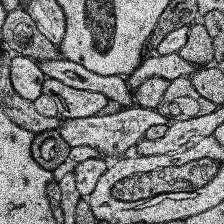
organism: Human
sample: Temporal Lobe